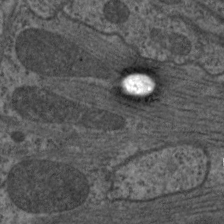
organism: C. elegans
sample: Pharynx